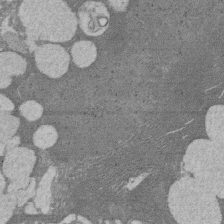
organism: Rat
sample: Salivary granule